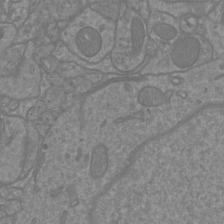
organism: Mouse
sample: Cortical neurons